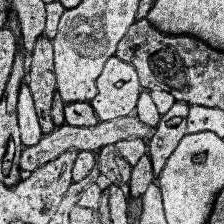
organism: Human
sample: Temporal Lobe